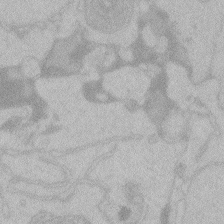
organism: Zebrafish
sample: Macrophage infected with Toxoplasma gondii